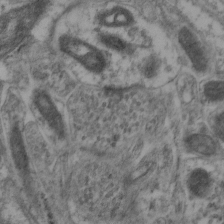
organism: Mouse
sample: Neocortex